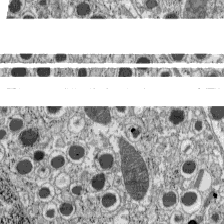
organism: C57BL Mouse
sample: Pancreatic islet